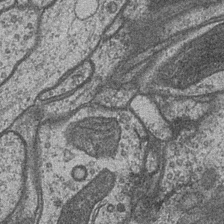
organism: Drosophila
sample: Optic medulla